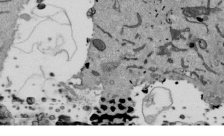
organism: Mouse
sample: ED-1 cell nuclei; centrioles